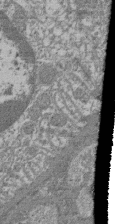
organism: Mouse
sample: Glomerulus